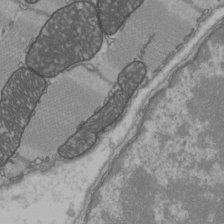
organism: C57BL Mouse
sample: Heart